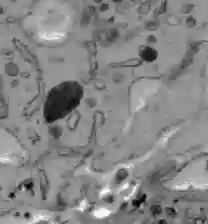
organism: C57BL Mouse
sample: Liver